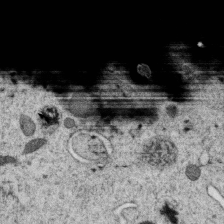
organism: C. elegans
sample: C. elegans oocyte; sperm cells